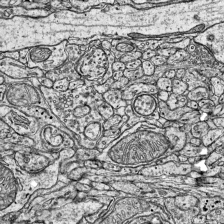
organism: Mouse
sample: Visual Cortex